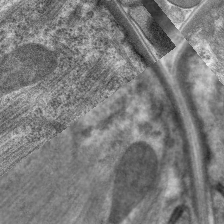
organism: C. elegans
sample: Pharynx